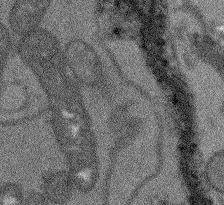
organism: Arabidopsis thaliana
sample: Root tip